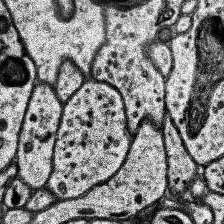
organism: Human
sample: Temporal Lobe